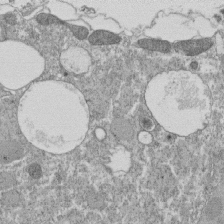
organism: Tetrahymena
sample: Cilia in tetrahymena